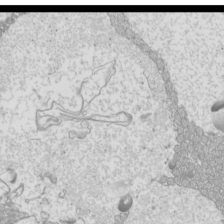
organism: Mouse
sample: Cilia; mouse epididymis